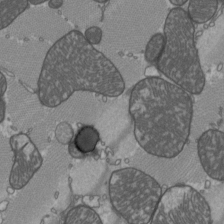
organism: C57BL Mouse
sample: Heart